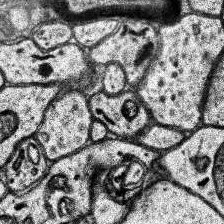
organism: Human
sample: Temporal Lobe